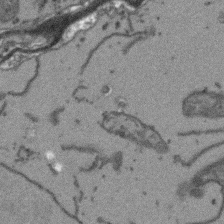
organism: Arabidopsis thaliana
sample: Root tip